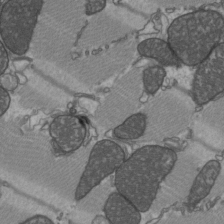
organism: C57BL Mouse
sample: Heart